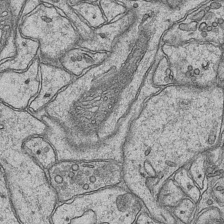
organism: Mouse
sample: CA1 Hippocampus